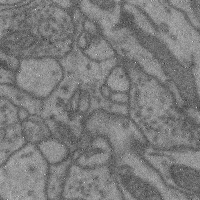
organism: Mouse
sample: Cerebral cortex